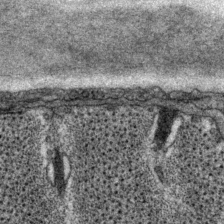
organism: P. pacificus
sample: Pharynx